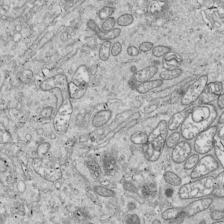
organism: Drosophila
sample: Cell division; meiosis; drosophila spermatocytes